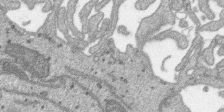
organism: Human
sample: Lung epithelial cells infected with SARS-CoV-2